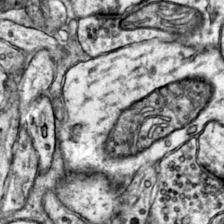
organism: Mouse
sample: Primary visual cortex